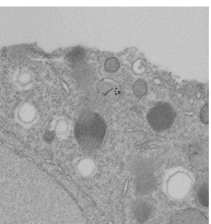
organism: C. elegans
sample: C. elegans embryo early stage